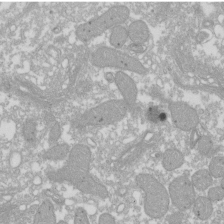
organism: Xenopus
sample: Cilia; centrioles in frog embryo cells